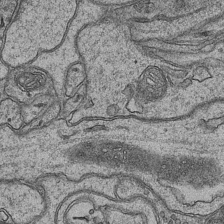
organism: Mouse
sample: CA1 Hippocampus